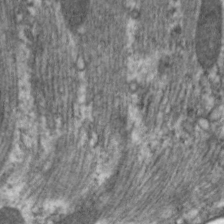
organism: C. elegans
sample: Pharynx